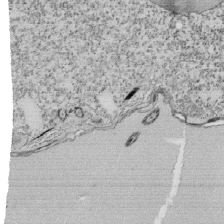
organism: Tetrahymena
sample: Cilia in tetrahymena